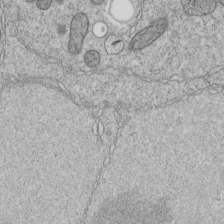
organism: C. elegans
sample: C. elegans embryo early stage